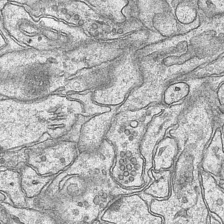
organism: Mouse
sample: CA1 Hippocampus